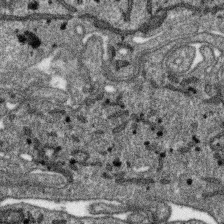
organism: Human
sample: Lung epithelial cells infected with SARS-CoV-2